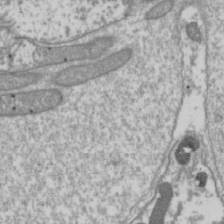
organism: Drosophila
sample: Cell division; meiosis; drosophila spermatocytes